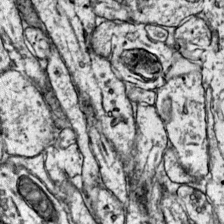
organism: Mouse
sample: Primary visual cortex